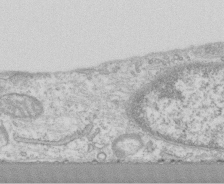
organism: Human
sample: CRL-1474